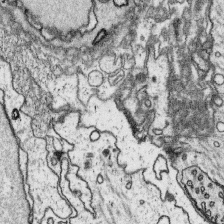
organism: Platynereis dumerilii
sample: Parapodia